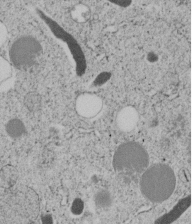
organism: C. elegans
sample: C. elegans embryo early stage